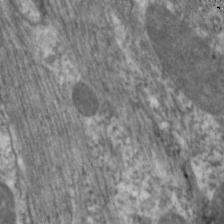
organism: C. elegans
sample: Pharynx